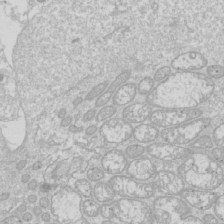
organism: Drosophila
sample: Cell division; meiosis; drosophila spermatocytes